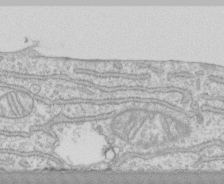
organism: Human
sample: CRL-1474